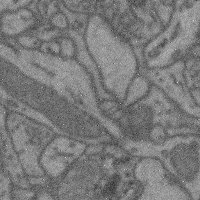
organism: Mouse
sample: Cerebral cortex